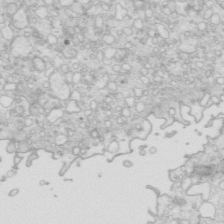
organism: Mouse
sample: Multiciliated cells